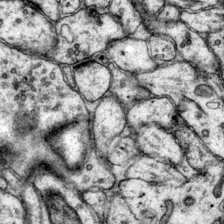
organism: Mouse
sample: Primary visual cortex